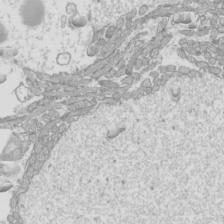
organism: Mouse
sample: Cilia; mouse epididymis